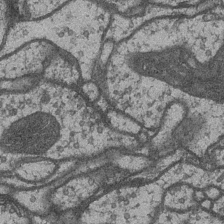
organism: Drosophila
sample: Optic medulla